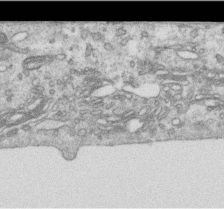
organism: Human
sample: Centriole in RPE cells